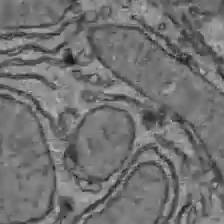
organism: C57BL Mouse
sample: Liver